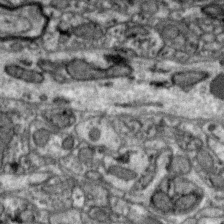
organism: Zebra finch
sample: Brain